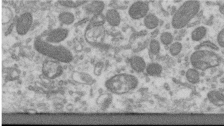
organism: Human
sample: Centriole in RPE cells